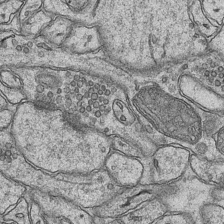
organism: Mouse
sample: CA1 Hippocampus